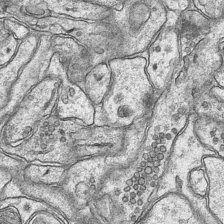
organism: Mouse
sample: CA1 Hippocampus